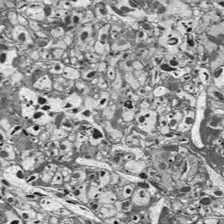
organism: Drosophila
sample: Optic lobe